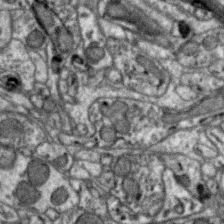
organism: Zebra finch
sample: Brain